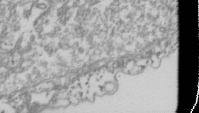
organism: Drosophila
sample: Cell division; meiosis; drosophila spermatocytes